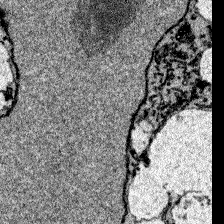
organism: Zebrafish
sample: Larval olfactory bulb